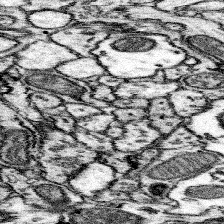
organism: Mouse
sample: Somatosensory cortex neuropil